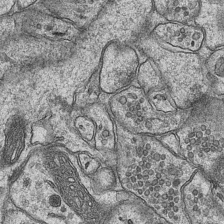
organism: Mouse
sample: CA1 Hippocampus